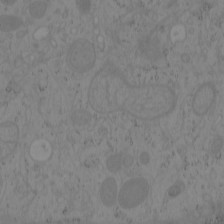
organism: Human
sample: HeLa cells